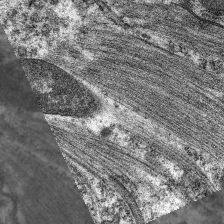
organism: C. elegans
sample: Pharynx